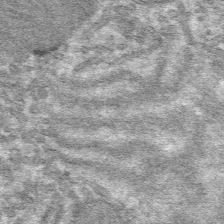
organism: Mouse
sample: Mouse hepatocytes